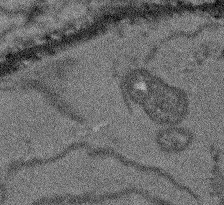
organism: Arabidopsis thaliana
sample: Root tip